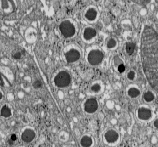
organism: C57BL Mouse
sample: Pancreatic islet